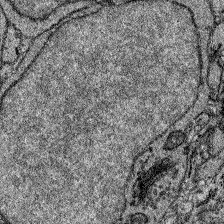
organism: Zebrafish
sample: Larval olfactory bulb